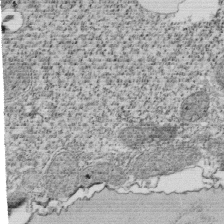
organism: Tetrahymena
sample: Cilia in tetrahymena